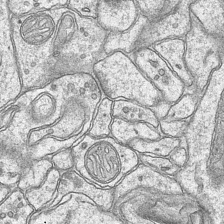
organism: Mouse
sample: CA1 Hippocampus